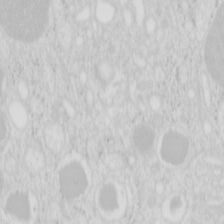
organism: Mouse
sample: Pancreas